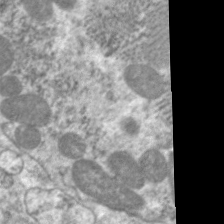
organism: C. elegans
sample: Pharynx